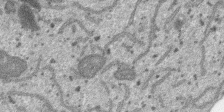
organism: Human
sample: Lung epithelial cells infected with SARS-CoV-2